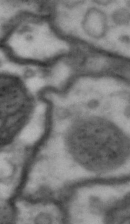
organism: Drosophila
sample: Brain